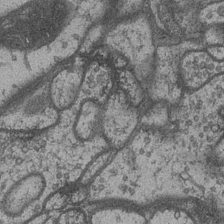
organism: Drosophila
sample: Optic medulla